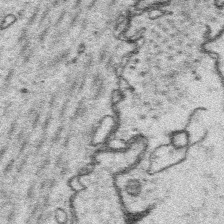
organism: Platynereis dumerilii